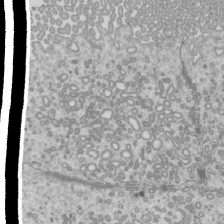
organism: Mouse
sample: Cilia; mouse epididymis